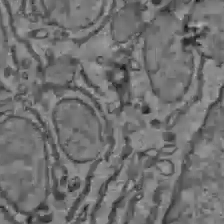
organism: C57BL Mouse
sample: Liver